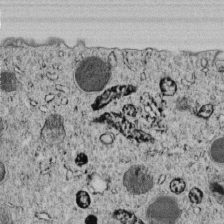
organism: C. elegans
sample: C. elegans embryo early stage